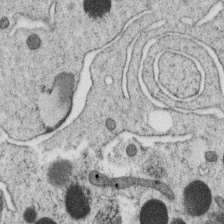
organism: C. elegans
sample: C. elegans oocyte; sperm cells